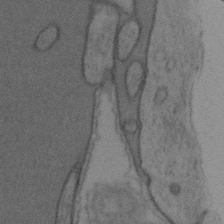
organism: Human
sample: HeLa cells